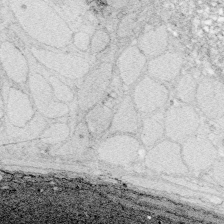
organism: Zebrafish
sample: Whole-Brain